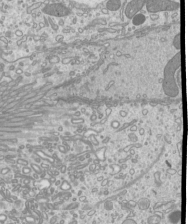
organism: Mouse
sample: Cilia; mouse epididymis